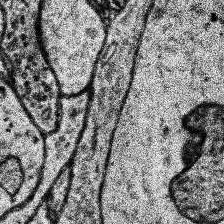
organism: Human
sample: Temporal Lobe